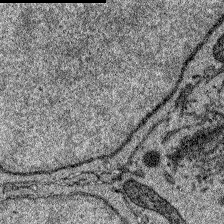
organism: Zebrafish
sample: Larval olfactory bulb